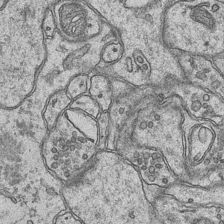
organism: Mouse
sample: CA1 Hippocampus